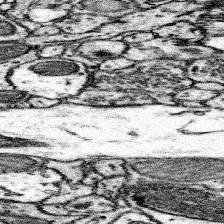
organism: Mouse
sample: Somatosensory cortex neuropil